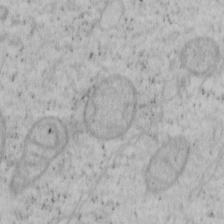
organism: Human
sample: HeLa cells